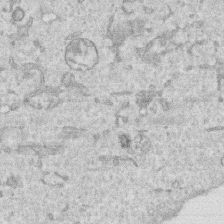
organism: Human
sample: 1205lu cells